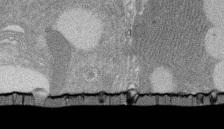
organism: Rat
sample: Salivary granule